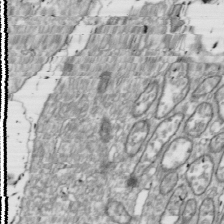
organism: Drosophila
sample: Cell division; meiosis; drosophila spermatocytes